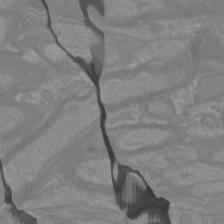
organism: Mouse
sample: Cortical neurons